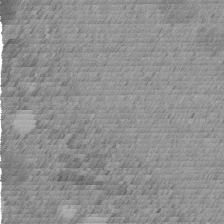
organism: C. elegans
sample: C. elegans embryo early stage